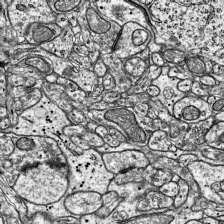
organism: Mouse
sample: Visual Cortex